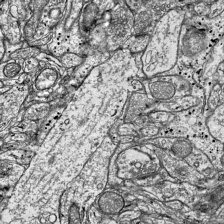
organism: Mouse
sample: Visual Cortex